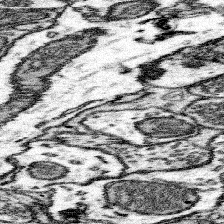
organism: Mouse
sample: Somatosensory cortex neuropil